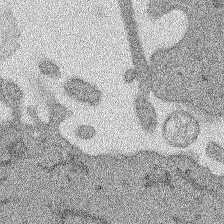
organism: Human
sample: HeLa cells